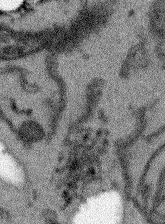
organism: Arabidopsis thaliana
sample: Root tip